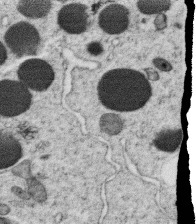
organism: C. elegans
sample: C. elegans oocyte; sperm cells